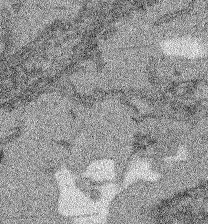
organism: Human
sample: HeLa cells